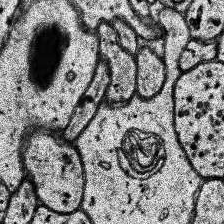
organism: Human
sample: Temporal Lobe